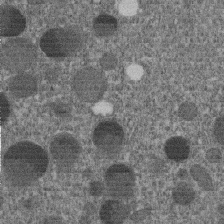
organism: C. elegans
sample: C. elegans embryo early stage